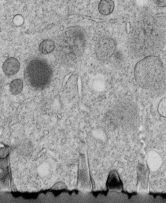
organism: C. elegans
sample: C. elegans embryo early stage